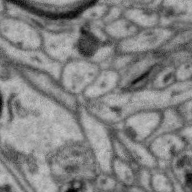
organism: Zebra finch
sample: Brain